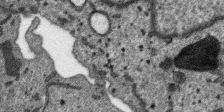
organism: Human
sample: Lung epithelial cells infected with SARS-CoV-2